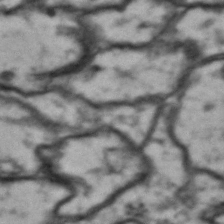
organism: Drosophila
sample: Brain